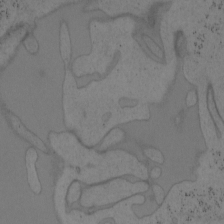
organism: Mouse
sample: OT-I killer T cells with ID8 ovarian cancer cells